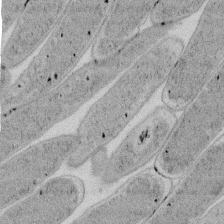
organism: E. coli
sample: Bacterial nucleoid